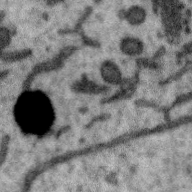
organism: Zebra finch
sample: Brain